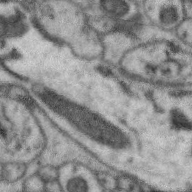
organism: Zebra finch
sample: Brain